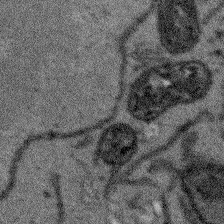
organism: Arabidopsis thaliana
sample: Root tip